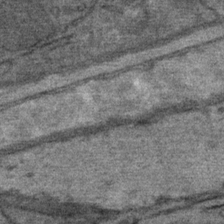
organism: Mouse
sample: Mouse Salivary gland